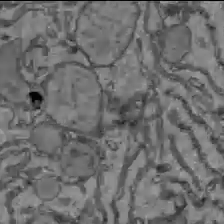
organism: C57BL Mouse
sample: Liver